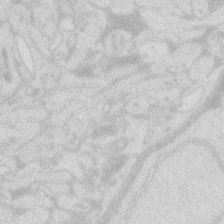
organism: Zebrafish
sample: Macrophage